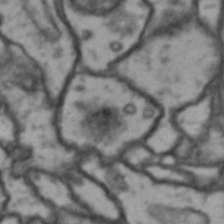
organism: Drosophila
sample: Brain